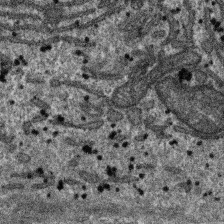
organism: Human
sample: Lung epithelial cells infected with SARS-CoV-2